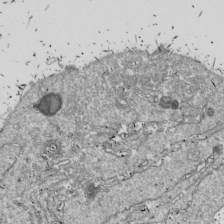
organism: Drosophila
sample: Cell division; meiosis; drosophila spermatocytes